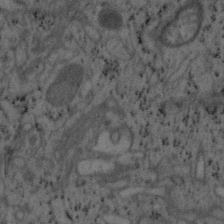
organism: Human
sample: HeLa cells